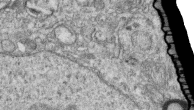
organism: Human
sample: HeLa cell HIV synapse